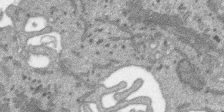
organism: Human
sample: Lung epithelial cells infected with SARS-CoV-2